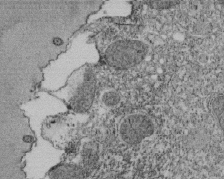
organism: Tetrahymena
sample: Cilia in tetrahymena